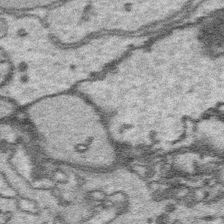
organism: Platynereis dumerilii